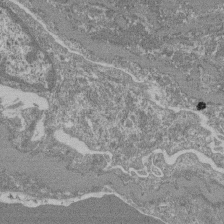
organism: Mouse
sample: Glomerulus